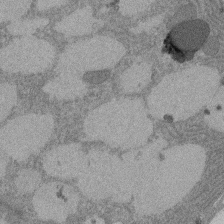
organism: Rat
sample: Salivary granule